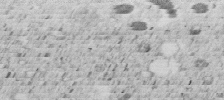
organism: C. elegans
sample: C. elegans embryo early stage